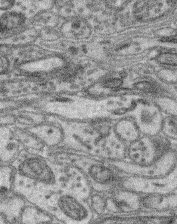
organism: Mouse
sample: Retina